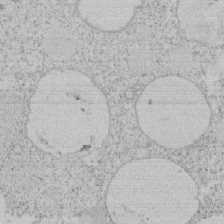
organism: Tetrahymena